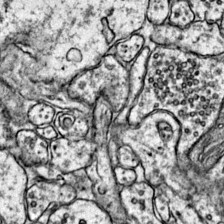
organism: Mouse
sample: Primary visual cortex